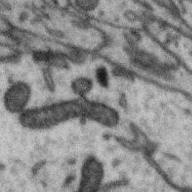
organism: Zebra finch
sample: Brain